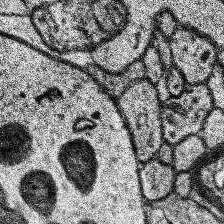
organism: Human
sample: Temporal Lobe